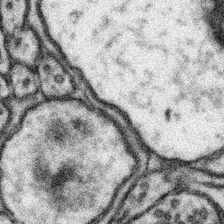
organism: Mouse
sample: Somatosensory cortex neuropil